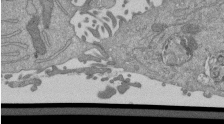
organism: Mouse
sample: ED-1 cell nuclei; centrioles